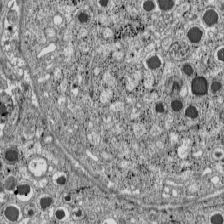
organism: C57BL Mouse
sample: Pancreatic islet